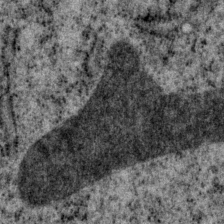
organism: P. pacificus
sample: Pharynx